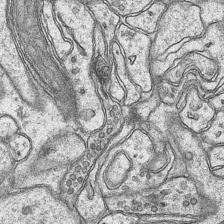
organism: Mouse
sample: CA1 Hippocampus